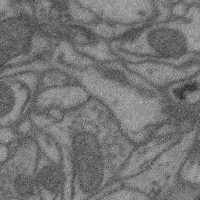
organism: Mouse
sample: Cerebral cortex